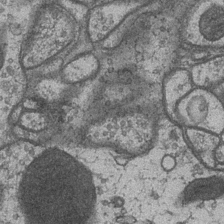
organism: Drosophila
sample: Optic medulla